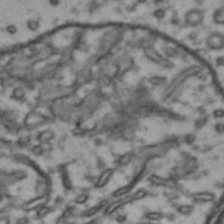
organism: Drosophila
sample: Brain